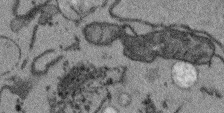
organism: Arabidopsis thaliana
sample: Root tip